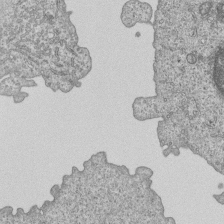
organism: Human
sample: MDA-MB-231 cells